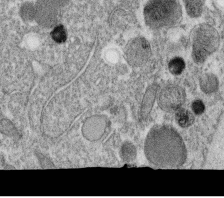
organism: C. elegans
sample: C. elegans oocyte; sperm cells